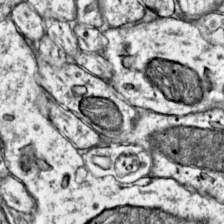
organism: Mouse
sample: Primary visual cortex